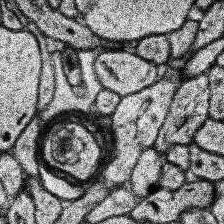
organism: Human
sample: Temporal Lobe